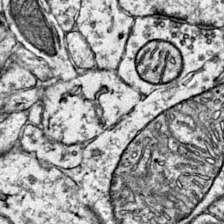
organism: Mouse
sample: Primary visual cortex